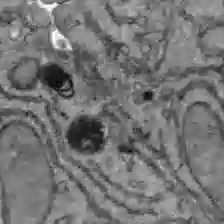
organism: C57BL Mouse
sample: Liver